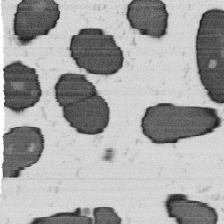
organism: B. subtilis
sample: Bacterial spore